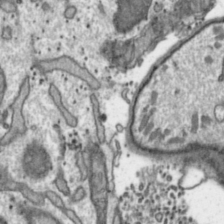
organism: Toxoplasma gondii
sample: Parasites in a vacuole inside a host cell